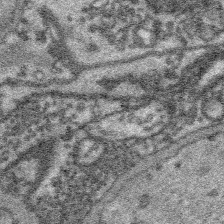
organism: Platynereis dumerilii